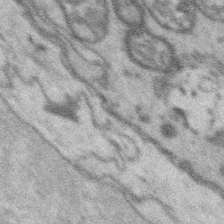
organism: Platynereis dumerilii